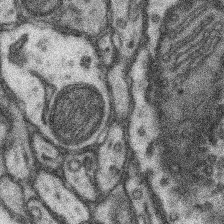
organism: Mouse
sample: Somatosensory cortex neuropil